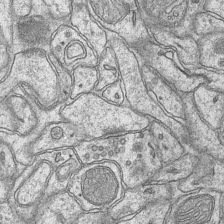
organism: Mouse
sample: CA1 Hippocampus